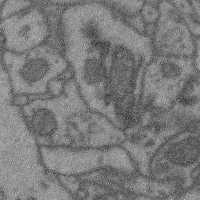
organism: Mouse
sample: Cerebral cortex